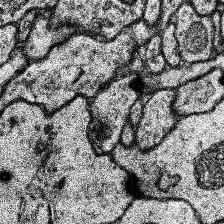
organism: Human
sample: Temporal Lobe